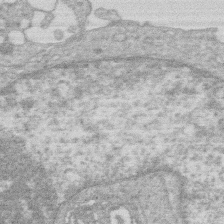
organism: Human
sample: Macrophage cells